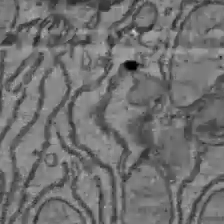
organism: C57BL Mouse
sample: Liver